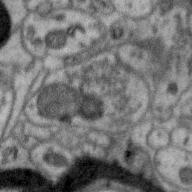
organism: Zebra finch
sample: Brain